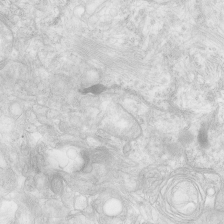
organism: Human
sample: Neocortex